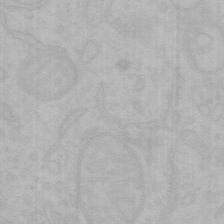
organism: Mouse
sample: Choroid plexus